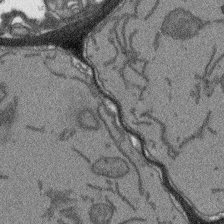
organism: Arabidopsis thaliana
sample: Root tip